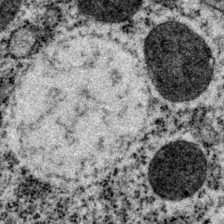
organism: P. pacificus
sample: Pharynx